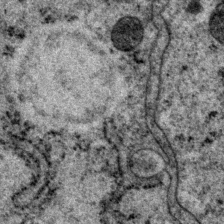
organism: P. pacificus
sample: Pharynx